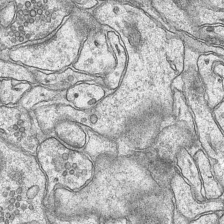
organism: Mouse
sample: CA1 Hippocampus